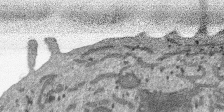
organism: Human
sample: Lung epithelial cells infected with SARS-CoV-2